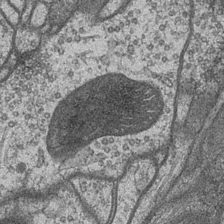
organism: Drosophila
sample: Optic medulla